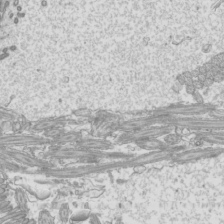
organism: Mouse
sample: Cilia; mouse epididymis